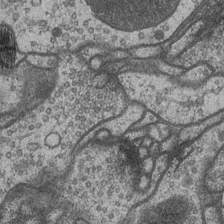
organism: Drosophila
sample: Optic medulla